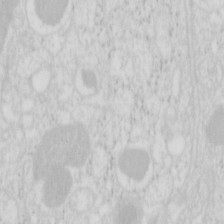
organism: Mouse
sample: Pancreas